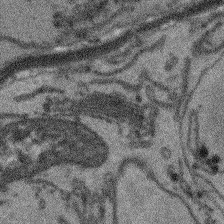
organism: Arabidopsis thaliana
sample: Root tip